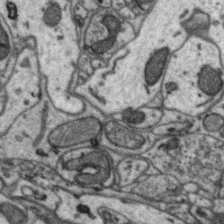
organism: Zebra finch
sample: Brain